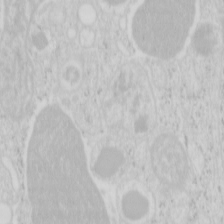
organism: Mouse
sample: Pancreas